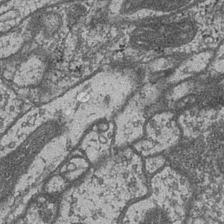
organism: Drosophila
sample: Optic medulla